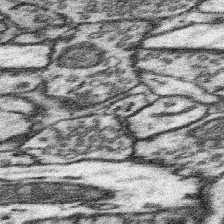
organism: Mouse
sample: Somatosensory cortex neuropil